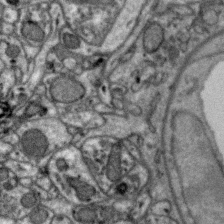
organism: Zebra finch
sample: Brain